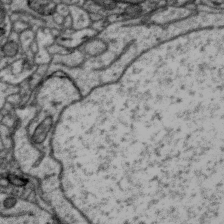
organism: Zebra finch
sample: Brain